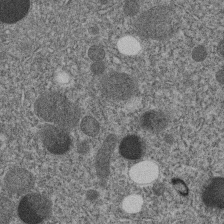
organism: C. elegans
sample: C. elegans embryo early stage